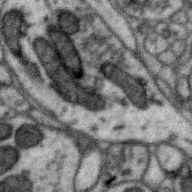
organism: Zebra finch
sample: Brain